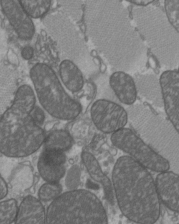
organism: C57BL Mouse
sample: Heart